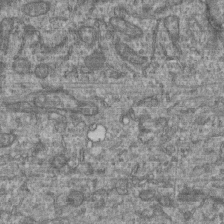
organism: Human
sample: Retinal organoid Rod and Cone cells